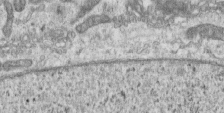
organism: Human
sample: Centriole in RPE cells